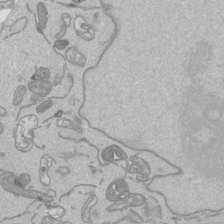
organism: Human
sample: Mitochondria in HCT116 cells